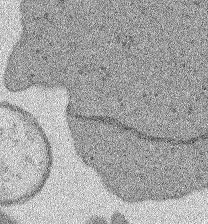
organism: Human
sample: HeLa cells